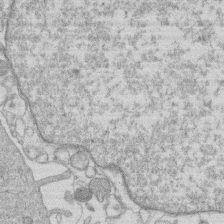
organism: Human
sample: Macrophage cells